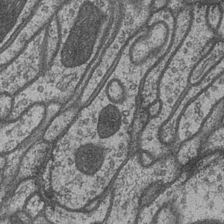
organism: Drosophila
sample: Optic medulla